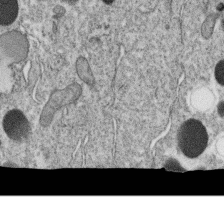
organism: C. elegans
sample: C. elegans oocyte; sperm cells